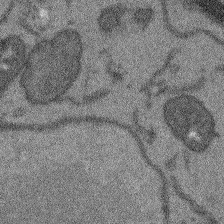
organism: Arabidopsis thaliana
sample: Root tip